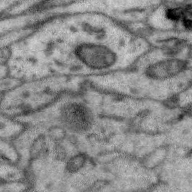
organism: Zebra finch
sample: Brain